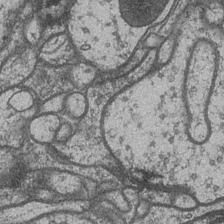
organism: Drosophila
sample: Optic medulla